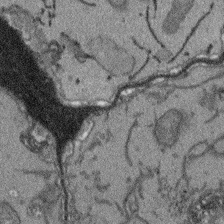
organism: Arabidopsis thaliana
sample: Root tip